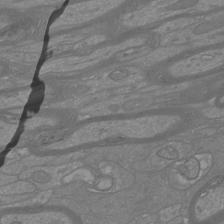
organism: Mouse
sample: Cortical neurons